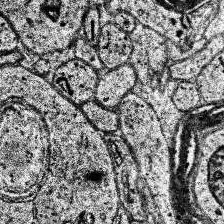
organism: Human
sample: Temporal Lobe